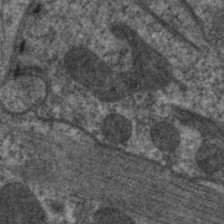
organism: C. elegans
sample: Pharynx